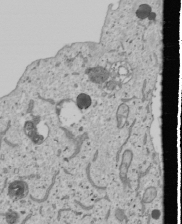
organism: Human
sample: Mitochondria in U2OS cells